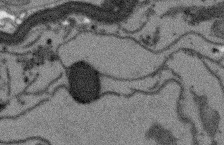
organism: Arabidopsis thaliana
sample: Root tip